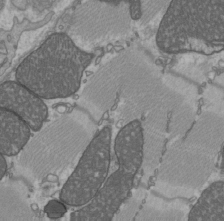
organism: C57BL Mouse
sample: Heart